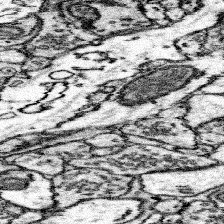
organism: Mouse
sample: Somatosensory cortex neuropil